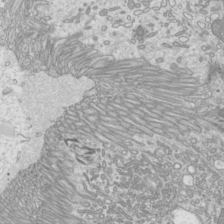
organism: Mouse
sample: Cilia; mouse epididymis